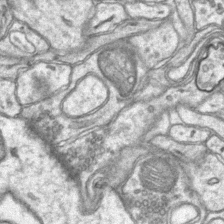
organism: Mouse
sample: CA1 Hippocampus